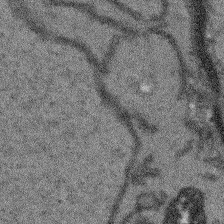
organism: Arabidopsis thaliana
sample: Root tip